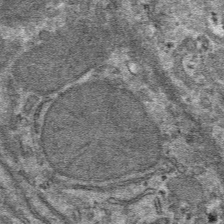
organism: Mouse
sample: Mouse hepatocytes